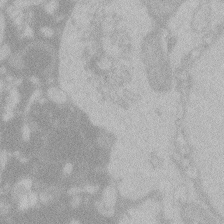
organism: Zebrafish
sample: Macrophage infected with Toxoplasma gondii